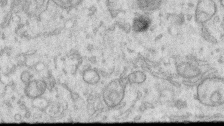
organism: Human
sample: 1205lu cells